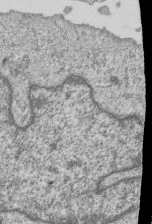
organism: Human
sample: MDA-MB-231 cells